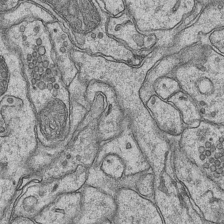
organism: Mouse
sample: CA1 Hippocampus